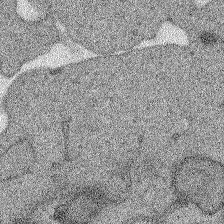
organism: Human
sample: HeLa cells